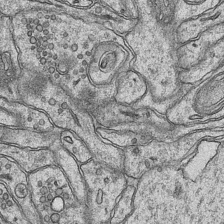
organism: Mouse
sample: CA1 Hippocampus